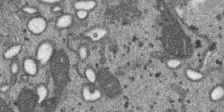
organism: Human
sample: Lung epithelial cells infected with SARS-CoV-2